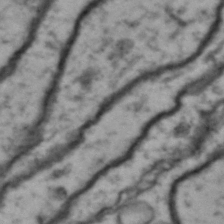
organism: Drosophila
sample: Brain